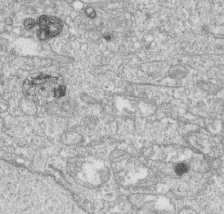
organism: Human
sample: HeLa cell HIV synapse